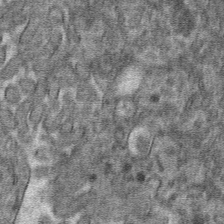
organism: Mouse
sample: Mouse hepatocytes